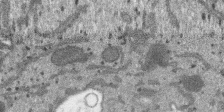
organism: Human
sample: Lung epithelial cells infected with SARS-CoV-2